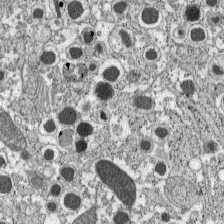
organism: C57BL Mouse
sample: Pancreatic islet